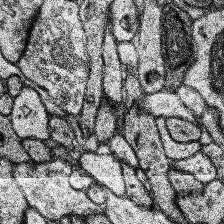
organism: Human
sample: Temporal Lobe